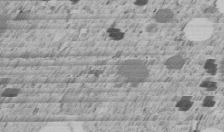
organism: C. elegans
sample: C. elegans embryo early stage